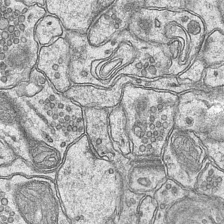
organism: Mouse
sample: CA1 Hippocampus